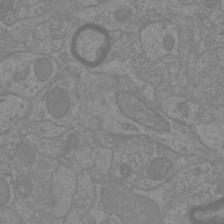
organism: Mouse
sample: Cortical neurons